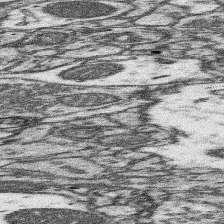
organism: Mouse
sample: Somatosensory cortex neuropil